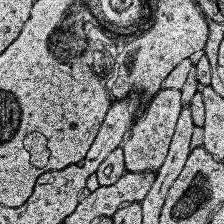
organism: Human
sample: Temporal Lobe